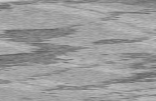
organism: C57BL Mouse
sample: Heart